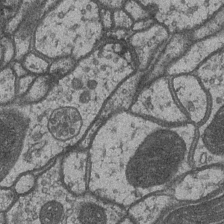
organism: Drosophila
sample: Optic medulla